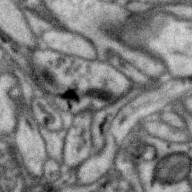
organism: Zebra finch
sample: Brain